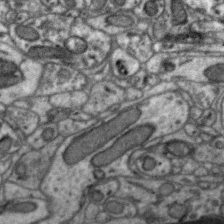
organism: Zebra finch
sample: Brain